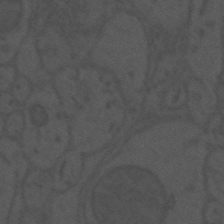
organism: Mouse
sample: Suprachiasmatic nucleus